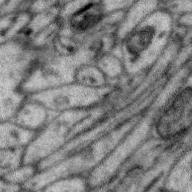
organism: Zebra finch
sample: Brain